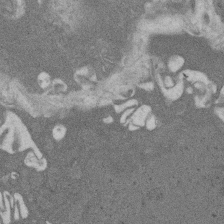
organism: Rat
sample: Salivary granule